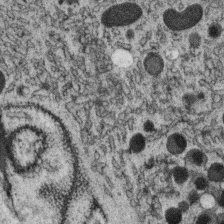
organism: C. elegans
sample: C. elegans oocyte; sperm cells